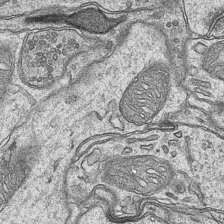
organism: Mouse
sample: CA1 Hippocampus